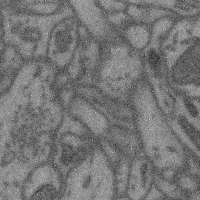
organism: Mouse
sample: Cerebral cortex